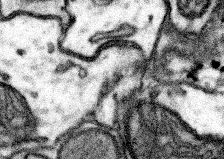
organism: Mouse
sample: Somatosensory cortex neuropil